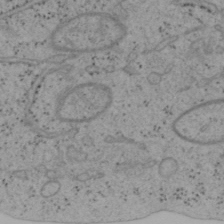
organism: Human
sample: HeLa cells